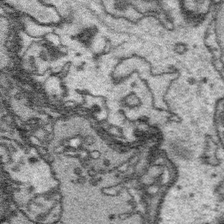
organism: Platynereis dumerilii